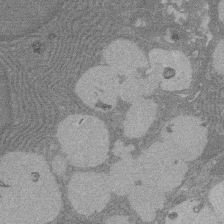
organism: Rat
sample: Salivary granule